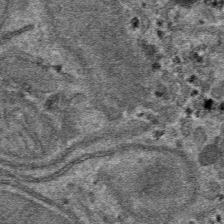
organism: Mouse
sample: Mouse hepatocytes